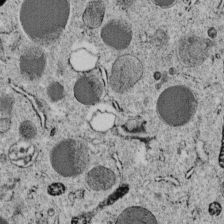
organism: C. elegans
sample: C. elegans embryo early stage